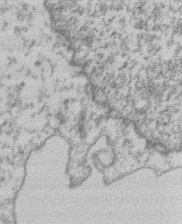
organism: Mouse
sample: T cell stromal cell synapse